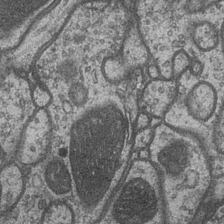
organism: Drosophila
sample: Optic medulla